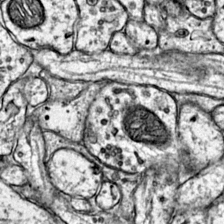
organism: Mouse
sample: Primary visual cortex